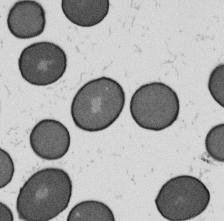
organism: B. subtilis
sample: Bacterial spore